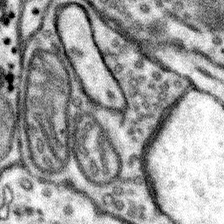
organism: Mouse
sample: Somatosensory cortex neuropil